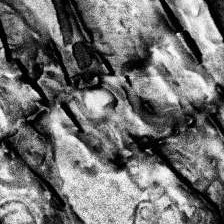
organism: Human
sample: Temporal Lobe